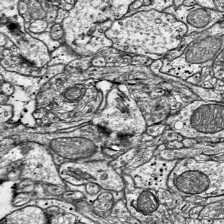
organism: Mouse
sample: Visual Cortex